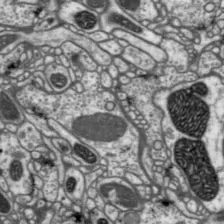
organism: Drosophila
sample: Protocerebral bridge